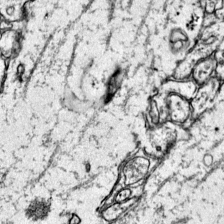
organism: Mouse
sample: Primary visual cortex